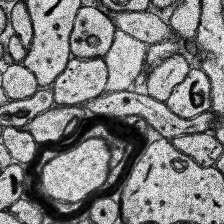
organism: Human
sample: Temporal Lobe